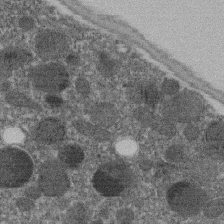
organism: C. elegans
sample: C. elegans embryo early stage